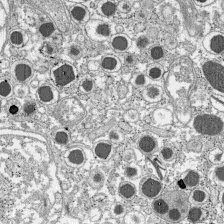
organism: C57BL Mouse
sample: Pancreatic islet